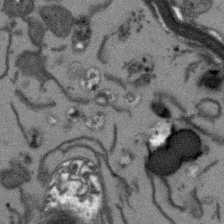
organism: Arabidopsis thaliana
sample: Root tip